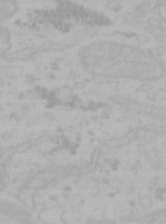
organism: Mouse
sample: Choroid plexus